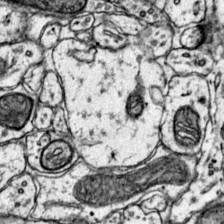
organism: Mouse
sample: Primary visual cortex